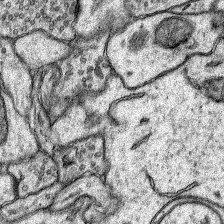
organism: Rat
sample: Hippocampus